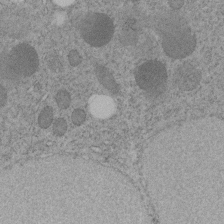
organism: C. elegans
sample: C. elegans embryo early stage